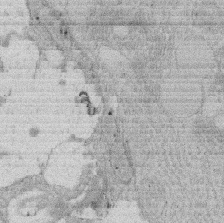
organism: Rat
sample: Salivary granule